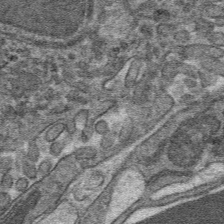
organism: Mouse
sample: Mouse hepatocytes